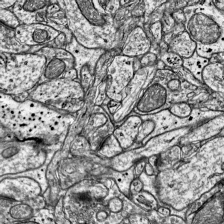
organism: Mouse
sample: Visual Cortex